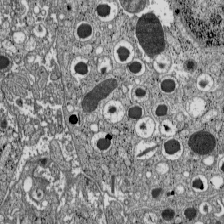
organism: C57BL Mouse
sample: Pancreatic islet